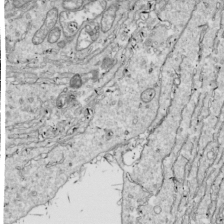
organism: Drosophila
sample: Cell division; meiosis; drosophila spermatocytes